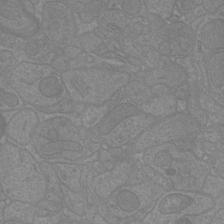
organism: Mouse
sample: Cortical neurons